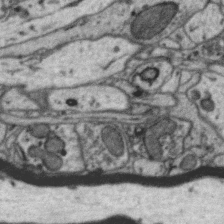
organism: Zebra finch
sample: Brain